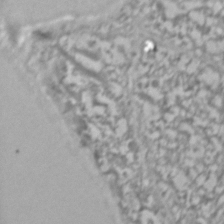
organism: C. elegans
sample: C. elegans embryo